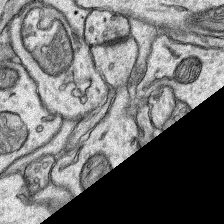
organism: Rat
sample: Hippocampus